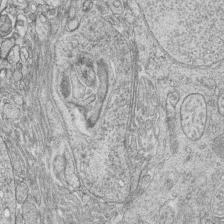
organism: Zebrafish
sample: synaptic ribbons in rod cells and cone cells